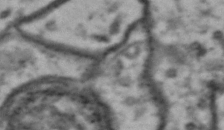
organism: Drosophila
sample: Brain